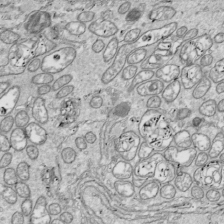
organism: Drosophila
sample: Cell division; meiosis; drosophila spermatocytes